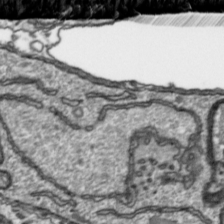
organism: Toxoplasma gondii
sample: Parasites in a vacuole inside a host cell